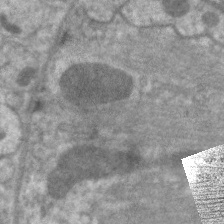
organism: C. elegans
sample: Pharynx